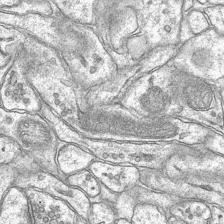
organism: Mouse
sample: CA1 Hippocampus